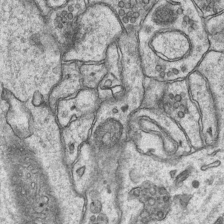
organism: Mouse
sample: CA1 Hippocampus